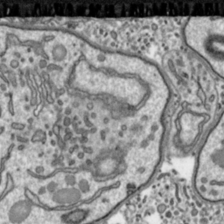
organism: Toxoplasma gondii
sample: Parasites in a vacuole inside a host cell